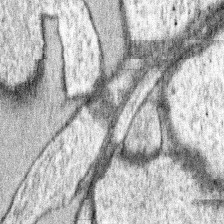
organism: Human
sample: HeLa cells